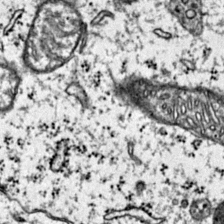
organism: Mouse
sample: Primary visual cortex